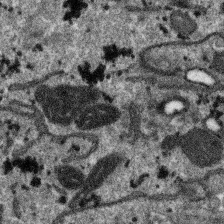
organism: Human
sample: Lung epithelial cells infected with SARS-CoV-2